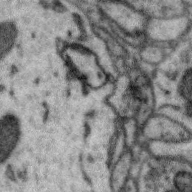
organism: Zebra finch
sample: Brain